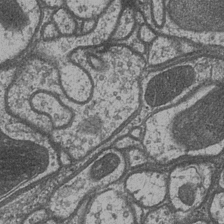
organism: Drosophila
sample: Optic medulla